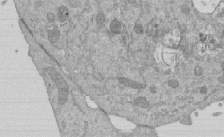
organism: Mouse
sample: ED-1 cell nuclei; centrioles